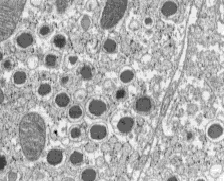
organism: C57BL Mouse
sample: Pancreatic islet